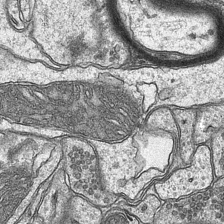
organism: Mouse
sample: CA1 Hippocampus